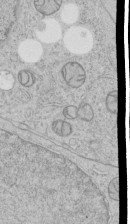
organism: Human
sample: Mitochondria in HCT116 cells